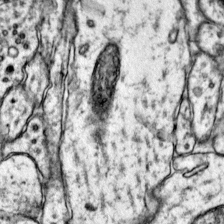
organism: Mouse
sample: Primary visual cortex